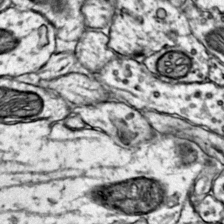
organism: Mouse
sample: Primary visual cortex